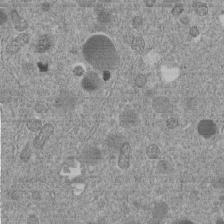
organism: C. elegans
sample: C. elegans embryo early stage